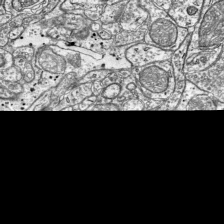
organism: Mouse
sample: Visual Cortex